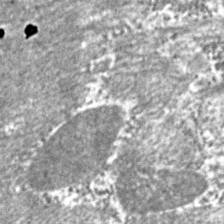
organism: C. elegans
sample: Pharynx